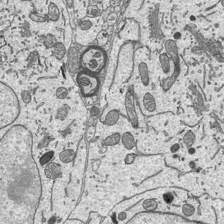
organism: Mouse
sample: Suprachiasmatic nucleus